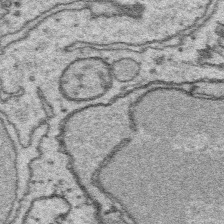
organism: Platynereis dumerilii